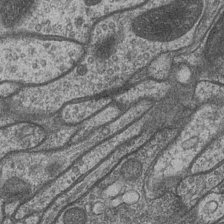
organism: Drosophila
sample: Optic medulla